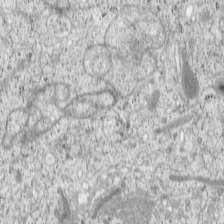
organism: African green monkey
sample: COS-7 cells